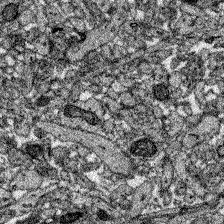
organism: Zebrafish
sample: Larval olfactory bulb